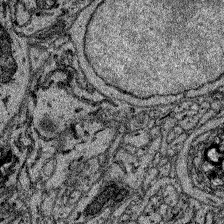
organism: Zebrafish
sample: Larval olfactory bulb